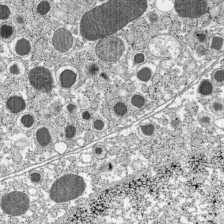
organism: C57BL Mouse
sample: Pancreatic islet